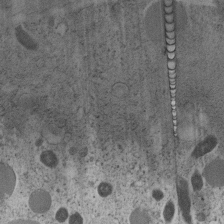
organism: C. elegans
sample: C. elegans embryo early stage